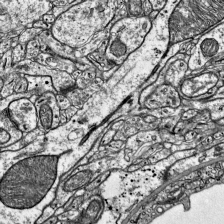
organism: Mouse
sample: Visual Cortex